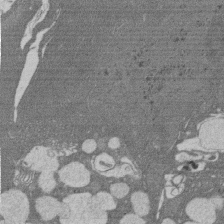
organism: Rat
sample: Salivary granule